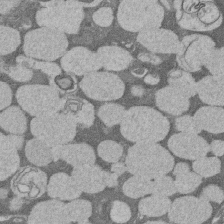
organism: Rat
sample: Salivary granule